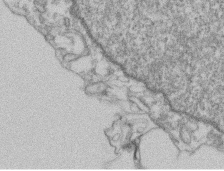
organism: Mouse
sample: T cell stromal cell synapse